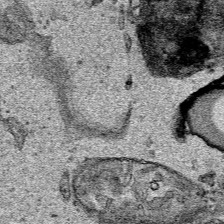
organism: Human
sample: Mitochondria in HCT116 cells